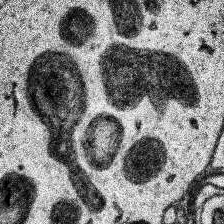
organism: Human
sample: Temporal Lobe